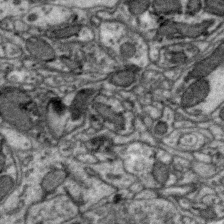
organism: Zebra finch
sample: Brain